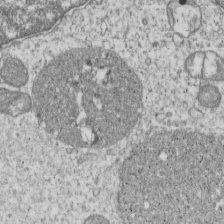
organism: Human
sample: MDA-MB-231 cells